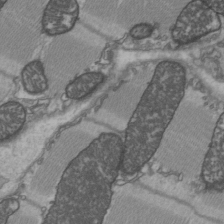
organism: C57BL Mouse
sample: Heart